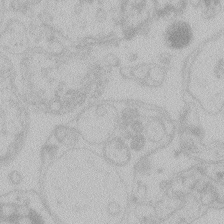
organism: Zebrafish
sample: Macrophage infected with Toxoplasma gondii